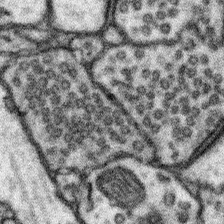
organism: Mouse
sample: Somatosensory cortex neuropil